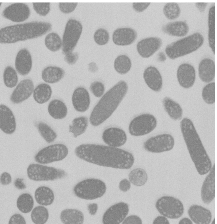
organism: E. coli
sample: Bacterial nucleoid